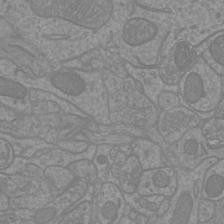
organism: Mouse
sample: Cortical neurons